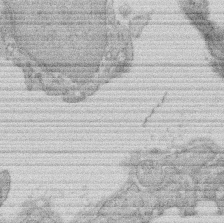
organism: Rat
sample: Salivary granule